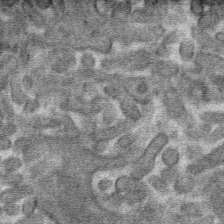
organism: Mouse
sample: Mouse hepatocytes